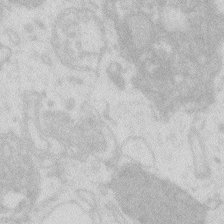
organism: Zebrafish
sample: Macrophage